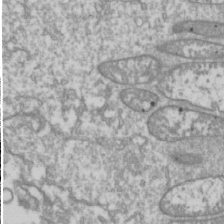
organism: Drosophila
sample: Cell division; meiosis; drosophila spermatocytes